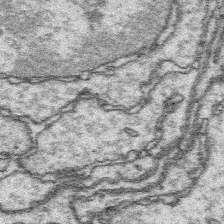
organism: Platynereis dumerilii